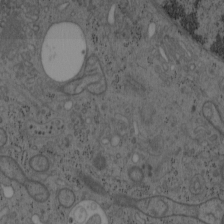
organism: Mouse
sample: OT-I killer T cells with ID8 ovarian cancer cells